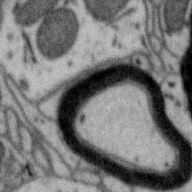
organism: Zebra finch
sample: Brain